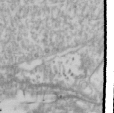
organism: Drosophila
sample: Cell division; meiosis; drosophila spermatocytes